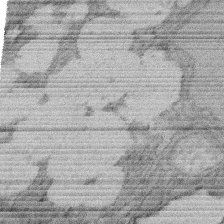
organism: Rat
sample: Salivary granule